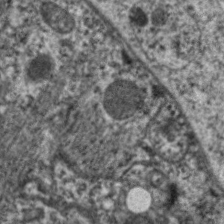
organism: C. elegans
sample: Pharynx